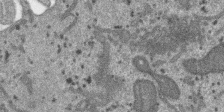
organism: Human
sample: Lung epithelial cells infected with SARS-CoV-2